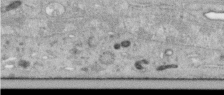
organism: Human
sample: Centriole in RPE cells